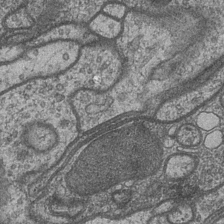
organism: Drosophila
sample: Optic medulla